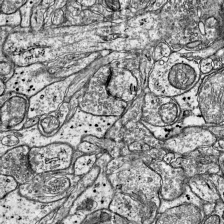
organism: Mouse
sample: Visual Cortex